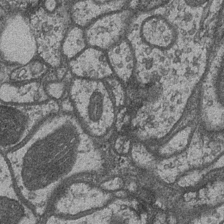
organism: Drosophila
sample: Optic medulla